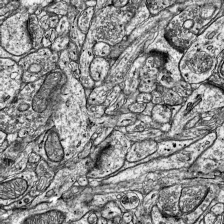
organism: Mouse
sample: Visual Cortex